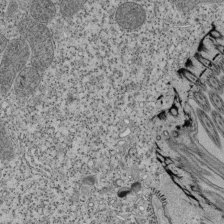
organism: Tetrahymena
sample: Cilia in tetrahymena